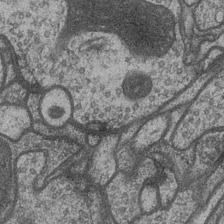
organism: Drosophila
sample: Optic medulla